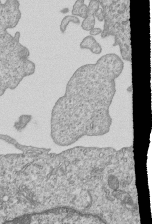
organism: Human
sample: MDA-MB-231 cells